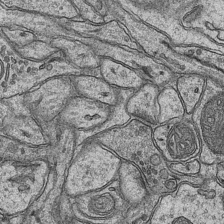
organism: Mouse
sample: CA1 Hippocampus